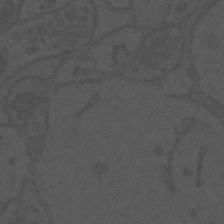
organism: Mouse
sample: Suprachiasmatic nucleus